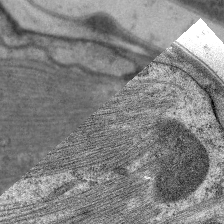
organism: C. elegans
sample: Pharynx